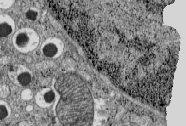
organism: C57BL Mouse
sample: Pancreatic islet